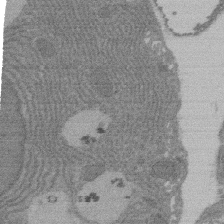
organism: Rat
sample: Salivary granule